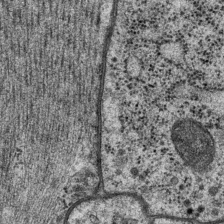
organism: P. pacificus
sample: Pharynx